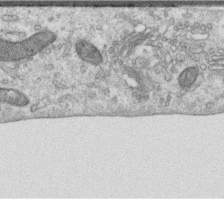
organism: Human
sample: Centriole in RPE cells